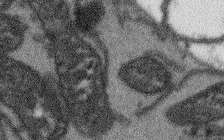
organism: Arabidopsis thaliana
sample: Root tip